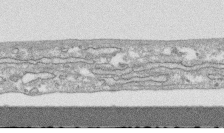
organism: Human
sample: CRL-1474